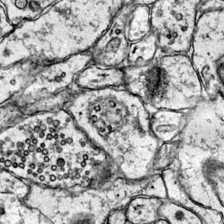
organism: Mouse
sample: Primary visual cortex